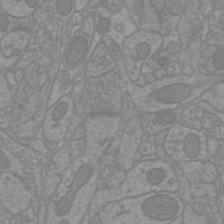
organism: Mouse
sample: Cortical neurons